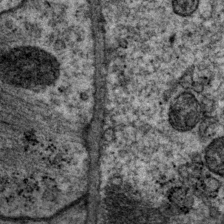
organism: P. pacificus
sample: Pharynx